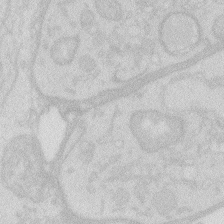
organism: Zebrafish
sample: Macrophage